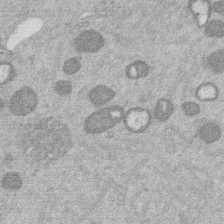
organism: Mouse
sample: Dividing mouse embryo 1 cell stage